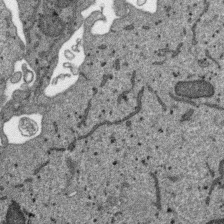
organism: Human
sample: Lung epithelial cells infected with SARS-CoV-2